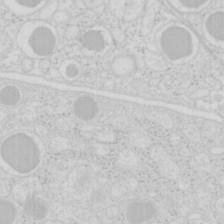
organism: Mouse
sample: Pancreas